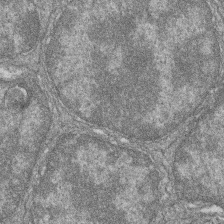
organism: Zebrafish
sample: Cilia; retinal pigment epithelium